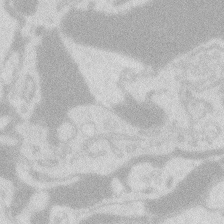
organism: Zebrafish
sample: Macrophage